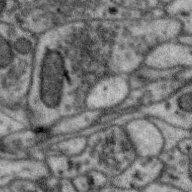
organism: Zebra finch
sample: Brain